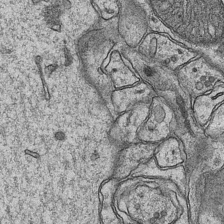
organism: Mouse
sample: CA1 Hippocampus